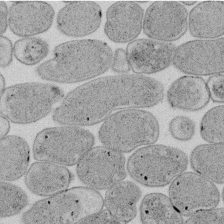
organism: E. coli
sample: Bacterial nucleoid